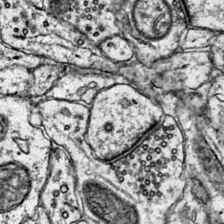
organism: Mouse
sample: Primary visual cortex